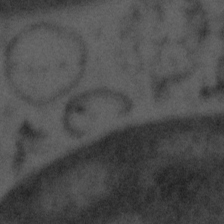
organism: Tuwongella immobilis